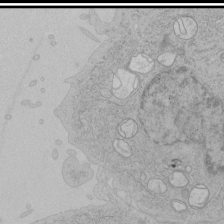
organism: Human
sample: Mitochondria in HCT116 cells